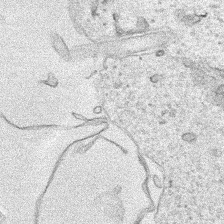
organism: Human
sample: Mitochondria in HCT116 cells